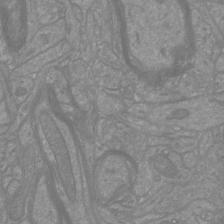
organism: Mouse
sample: Cortical neurons